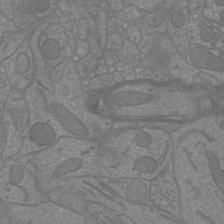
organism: Mouse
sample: Cortical neurons